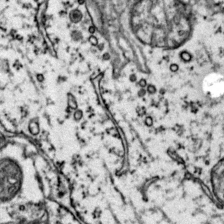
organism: Mouse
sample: Primary visual cortex